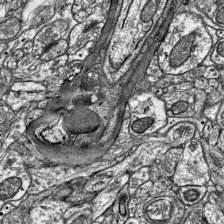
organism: Mouse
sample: Visual Cortex